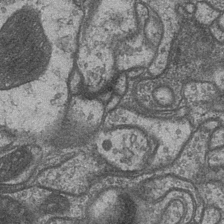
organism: Drosophila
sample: Optic medulla